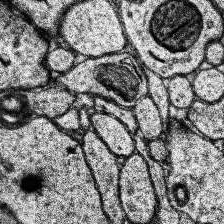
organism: Human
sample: Temporal Lobe